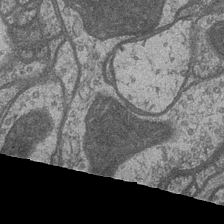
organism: Drosophila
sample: Optic medulla